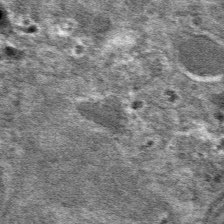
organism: Mouse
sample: Mouse hepatocytes